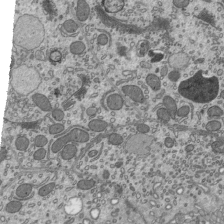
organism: Mouse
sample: Mouse epididymis efferent ductule cilia